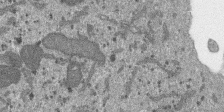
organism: Human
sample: Lung epithelial cells infected with SARS-CoV-2